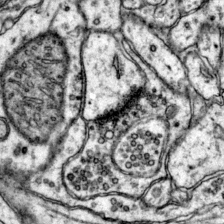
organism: Mouse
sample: Primary visual cortex